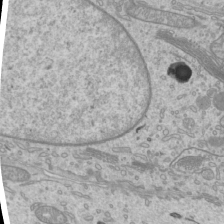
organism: Mouse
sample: Cilia; mouse epididymis